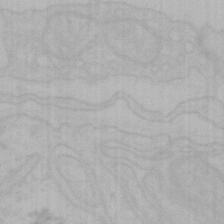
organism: Mouse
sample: Choroid plexus